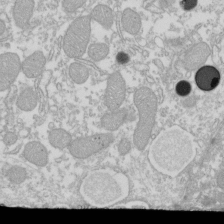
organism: Xenopus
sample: Cilia; centrioles in frog embryo cells